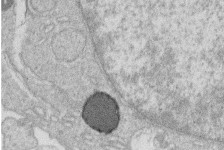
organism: Human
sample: Macrophage cells